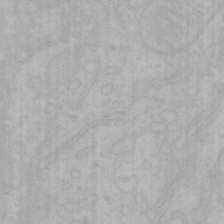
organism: Mouse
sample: Choroid plexus